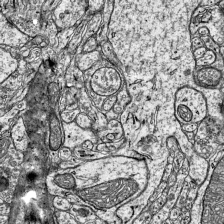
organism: Mouse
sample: Visual Cortex